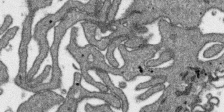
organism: Human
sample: Lung epithelial cells, uninfected (mock) control